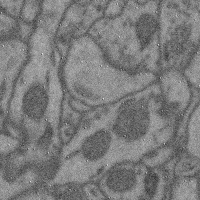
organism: Mouse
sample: Cerebral cortex